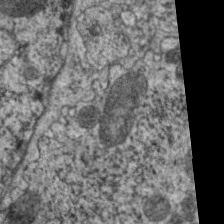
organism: C. elegans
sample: Pharynx